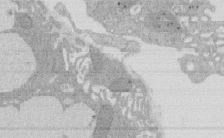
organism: Rat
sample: Salivary granule